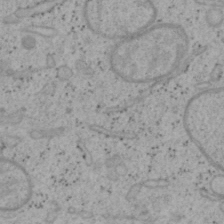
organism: Human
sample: HeLa cells